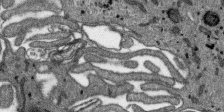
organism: Human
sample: Lung epithelial cells, uninfected (mock) control